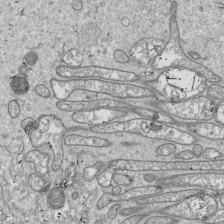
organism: Drosophila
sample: Cell division; meiosis; drosophila spermatocytes